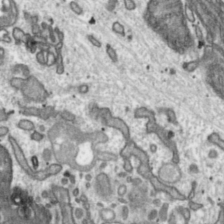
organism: Toxoplasma gondii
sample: Parasites in a vacuole inside a host cell